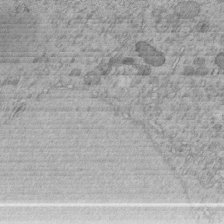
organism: C. elegans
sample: C. elegans embryo early stage